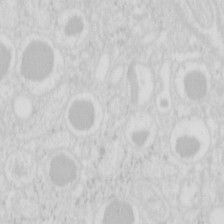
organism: Mouse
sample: Pancreas